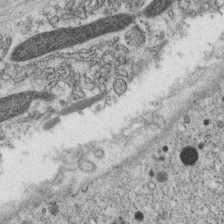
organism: C. elegans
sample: C. elegans oocyte; sperm cells